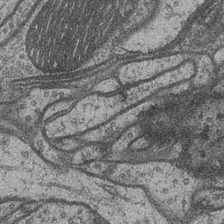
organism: Drosophila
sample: Optic medulla